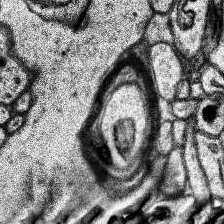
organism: Human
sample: Temporal Lobe